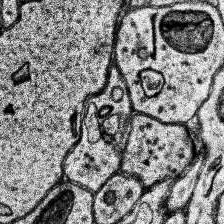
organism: Human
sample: Temporal Lobe